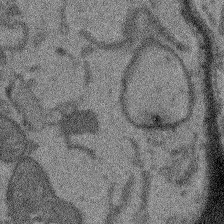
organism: Arabidopsis thaliana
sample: Root tip